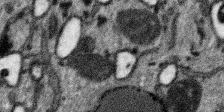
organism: Human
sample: Lung epithelial cells infected with SARS-CoV-2